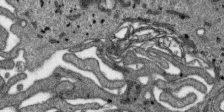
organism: Human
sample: Lung epithelial cells, uninfected (mock) control